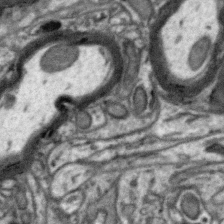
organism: Zebra finch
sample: Brain